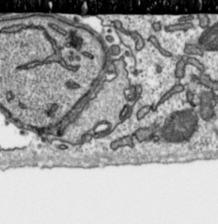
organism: Toxoplasma gondii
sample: Parasites in a vacuole inside a host cell